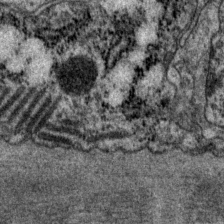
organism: P. pacificus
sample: Pharynx